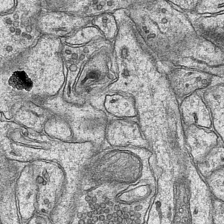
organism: Mouse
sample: CA1 Hippocampus